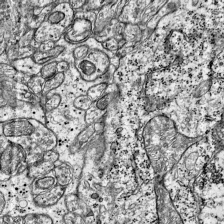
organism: Mouse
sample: Visual Cortex